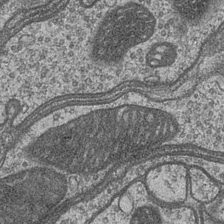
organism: Drosophila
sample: Optic medulla